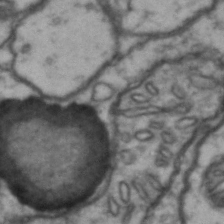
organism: Drosophila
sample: Brain